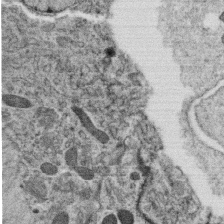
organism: C. elegans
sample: C. elegans oocyte; sperm cells